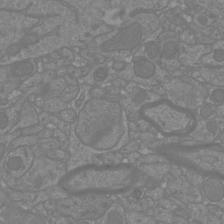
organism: Mouse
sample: Cortical neurons